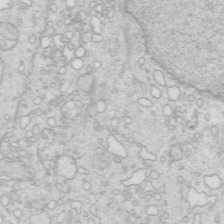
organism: Mouse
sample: Multiciliated cells